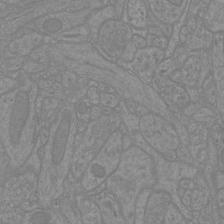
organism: Mouse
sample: Cortical neurons